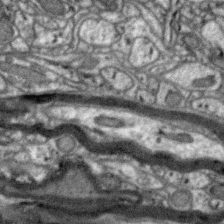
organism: Zebra finch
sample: Brain